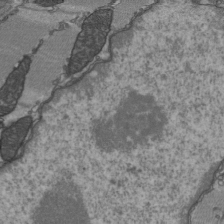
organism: C57BL Mouse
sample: Heart